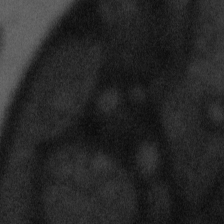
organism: Tuwongella immobilis